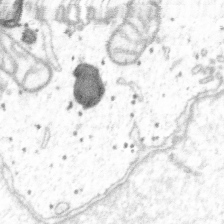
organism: Human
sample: HeLa cells